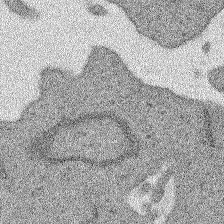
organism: Human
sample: HeLa cells